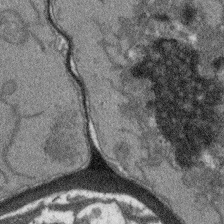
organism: Arabidopsis thaliana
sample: Root tip